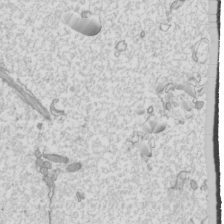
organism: Mouse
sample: Cilia; mouse epididymis